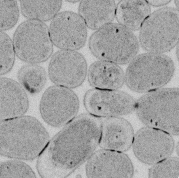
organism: E. coli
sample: Bacterial nucleoid